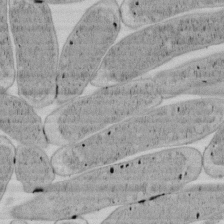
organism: E. coli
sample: Bacterial nucleoid